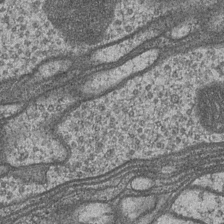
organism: Drosophila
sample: Optic medulla